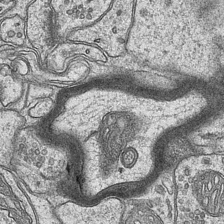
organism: Mouse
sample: CA1 Hippocampus